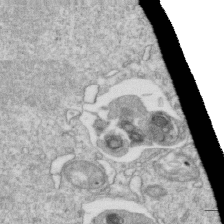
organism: Mouse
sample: Activated OT-1 CD8+ T cells